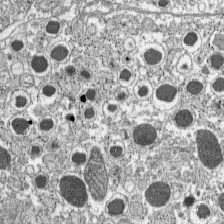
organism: C57BL Mouse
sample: Pancreatic islet